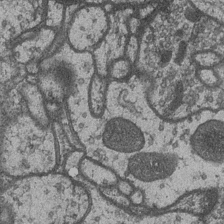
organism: Drosophila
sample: Optic medulla